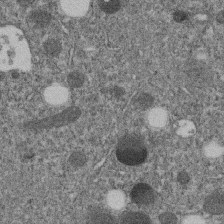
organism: C. elegans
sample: C. elegans embryo early stage